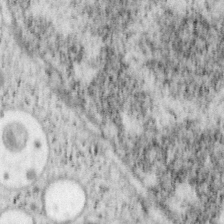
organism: Mouse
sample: OT-I killer T cells with ID8 ovarian cancer cells